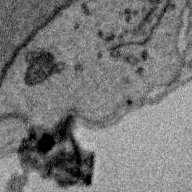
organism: Zebra finch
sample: Brain